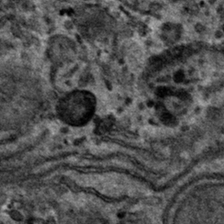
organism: Mouse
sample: Mouse hepatocytes